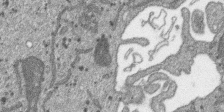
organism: Human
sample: Lung epithelial cells infected with SARS-CoV-2